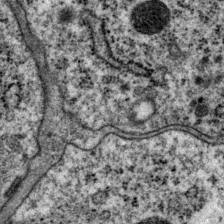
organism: P. pacificus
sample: Pharynx